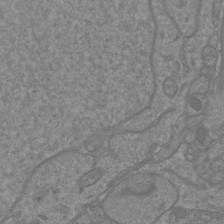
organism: Mouse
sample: Cortical neurons